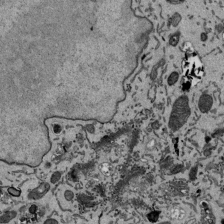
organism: Mouse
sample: ED-1 cell nuclei; centrioles